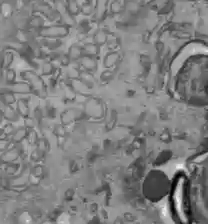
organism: C57BL Mouse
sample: Liver